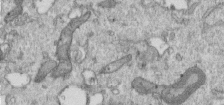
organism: Human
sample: Centriole in RPE cells